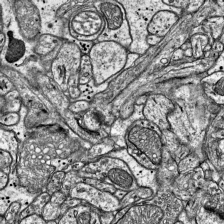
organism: Mouse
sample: Visual Cortex